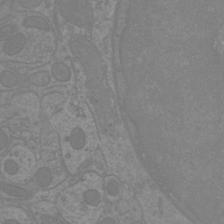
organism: Mouse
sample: Cortical neurons